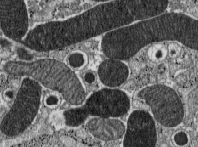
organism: C57BL Mouse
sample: Pancreatic islet